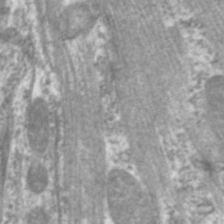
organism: C. elegans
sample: Pharynx